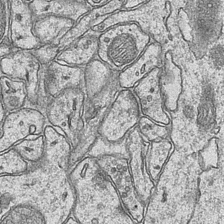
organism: Mouse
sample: CA1 Hippocampus